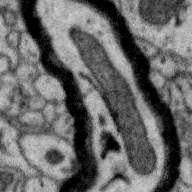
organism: Zebra finch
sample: Brain